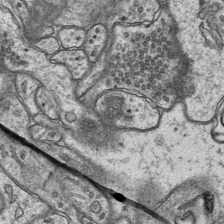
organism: Mouse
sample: CA1 Hippocampus